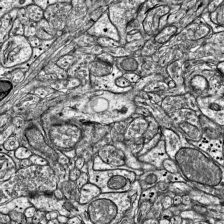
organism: Mouse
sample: Visual Cortex